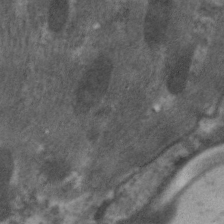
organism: C. elegans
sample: Pharynx